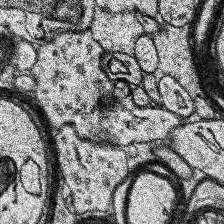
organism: Human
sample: Temporal Lobe